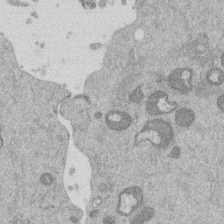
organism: Mouse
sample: Dividing mouse embryo 1 cell stage